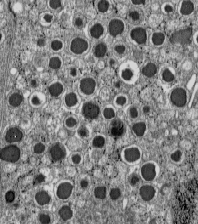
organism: C57BL Mouse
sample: Pancreatic islet